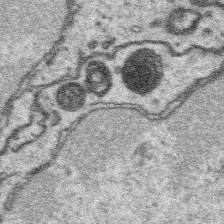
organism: Platynereis dumerilii